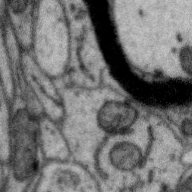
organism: Zebra finch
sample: Brain